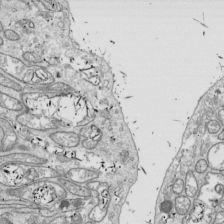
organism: Drosophila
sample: Cell division; meiosis; drosophila spermatocytes